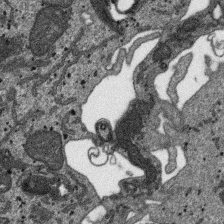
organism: Human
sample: Lung epithelial cells infected with SARS-CoV-2